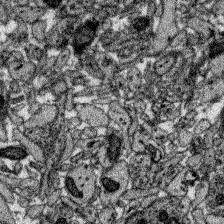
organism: Zebrafish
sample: Larval olfactory bulb